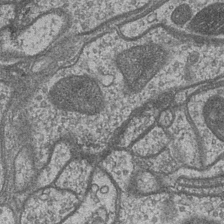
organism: Drosophila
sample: Optic medulla